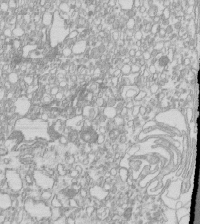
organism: Mouse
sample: Macrophages